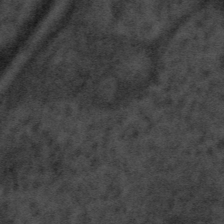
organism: Tuwongella immobilis